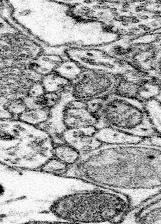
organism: Mouse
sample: Somatosensory cortex neuropil